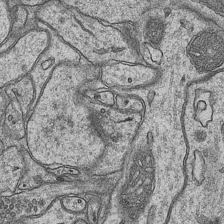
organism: Mouse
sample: CA1 Hippocampus